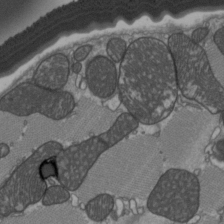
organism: C57BL Mouse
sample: Heart